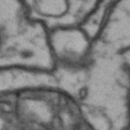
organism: Drosophila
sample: Brain